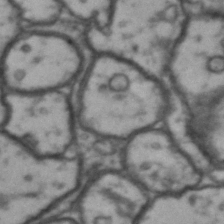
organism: Drosophila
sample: Brain